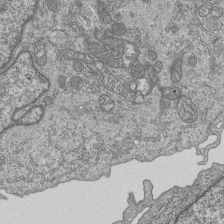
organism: Human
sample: MDA-MB-231 cells